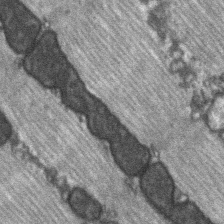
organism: C57BL Mouse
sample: Soleus